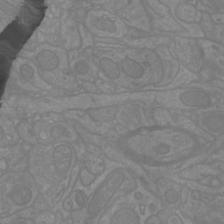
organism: Mouse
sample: Cortical neurons